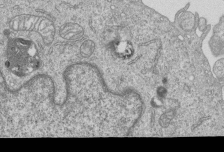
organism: Human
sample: MDA-MB-231 cells